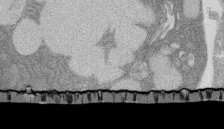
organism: Rat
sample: Salivary granule